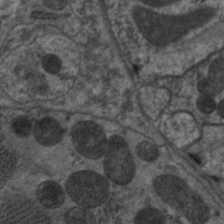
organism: C. elegans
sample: Pharynx